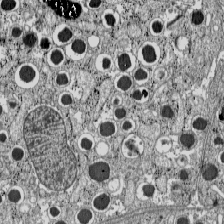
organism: C57BL Mouse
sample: Pancreatic islet